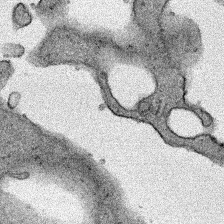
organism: Human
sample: Mitochondria in HCT116 cells